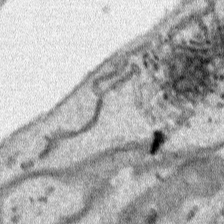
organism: Human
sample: Mitochondria in HCT116 cells